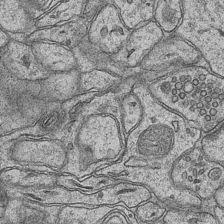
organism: Mouse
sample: CA1 Hippocampus